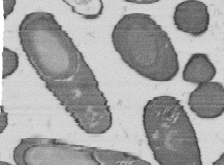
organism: B. subtilis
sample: Bacterial spore